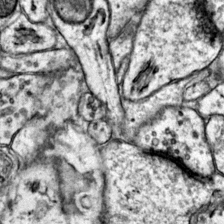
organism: Mouse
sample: Primary visual cortex